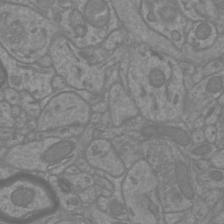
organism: Mouse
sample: Cortical neurons